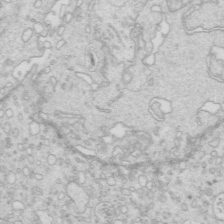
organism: Mouse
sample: Multiciliated cells